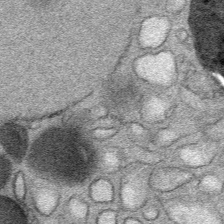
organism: Mouse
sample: Mouse Salivary gland